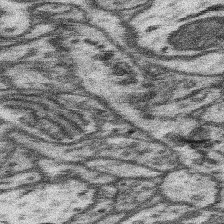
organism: Mouse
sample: Somatosensory cortex neuropil